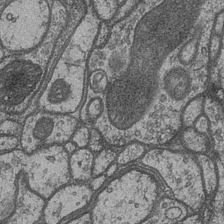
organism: Drosophila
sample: Optic medulla